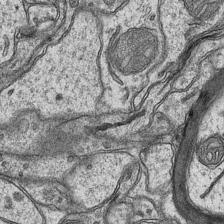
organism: Mouse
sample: CA1 Hippocampus